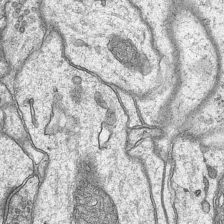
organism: Mouse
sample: CA1 Hippocampus